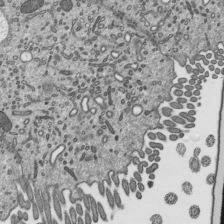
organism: Mouse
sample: Mouse epididymis efferent ductule cilia